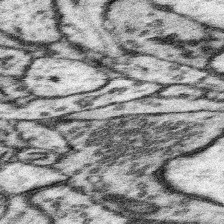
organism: Mouse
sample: Somatosensory cortex neuropil